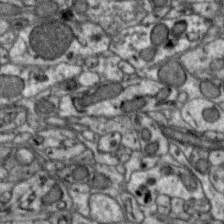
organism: Zebra finch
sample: Brain